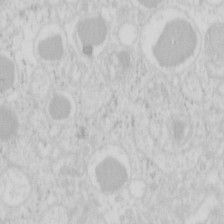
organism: Mouse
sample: Pancreas